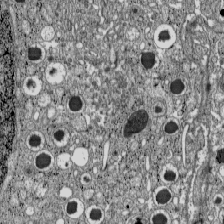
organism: C57BL Mouse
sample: Pancreatic islet